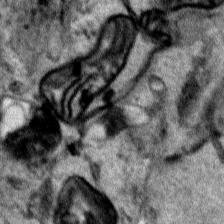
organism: Human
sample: Mitochondria in HCT116 cells